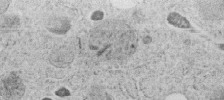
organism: C. elegans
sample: C. elegans embryo early stage